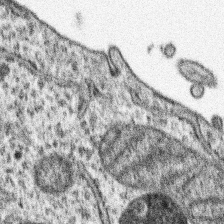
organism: Human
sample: HeLa cells